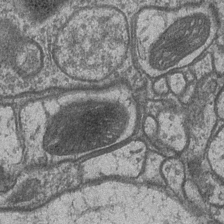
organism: Drosophila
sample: Optic medulla